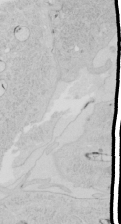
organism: Human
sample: Mitochondria in HCT116 cells